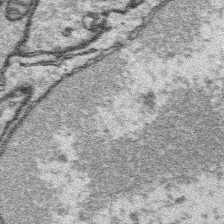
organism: Platynereis dumerilii